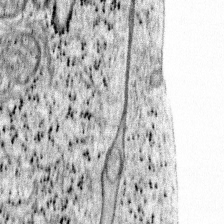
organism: Human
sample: HeLa cells